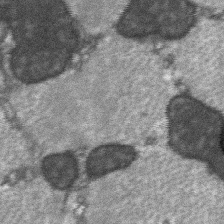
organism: C57BL Mouse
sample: Soleus